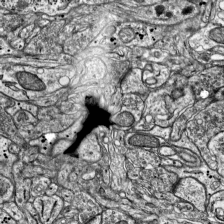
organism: Mouse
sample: Visual Cortex